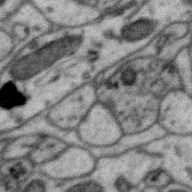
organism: Zebra finch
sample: Brain